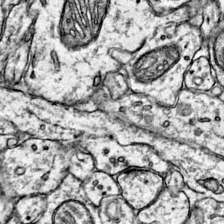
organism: Mouse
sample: Primary visual cortex